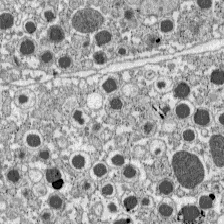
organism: C57BL Mouse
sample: Pancreatic islet